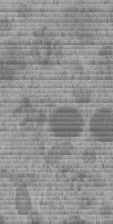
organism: C. elegans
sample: C. elegans embryo early stage